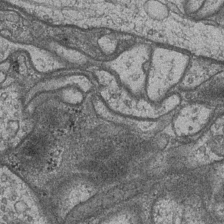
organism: Drosophila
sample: Optic medulla